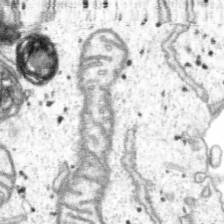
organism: Human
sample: HeLa cells